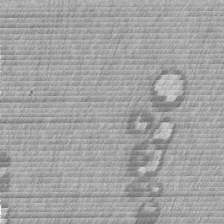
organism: Mouse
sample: Dividing mouse embryo 1 cell stage